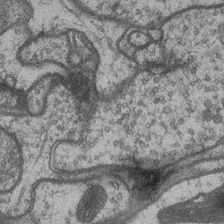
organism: Drosophila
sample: Optic medulla